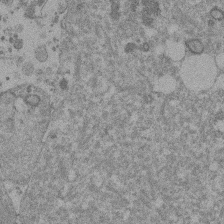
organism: Mouse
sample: Dividing mouse embryo 1 cell stage